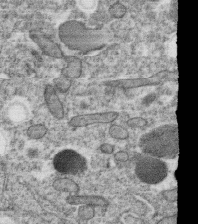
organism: C. elegans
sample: C. elegans oocyte; sperm cells